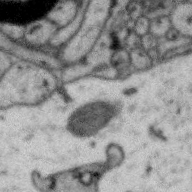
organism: Zebra finch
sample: Brain